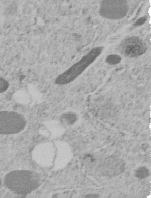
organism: C. elegans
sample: C. elegans embryo early stage